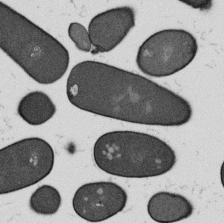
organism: B. subtilis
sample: Bacterial spore